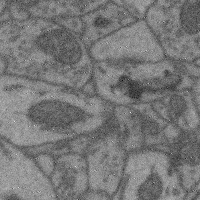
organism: Mouse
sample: Cerebral cortex